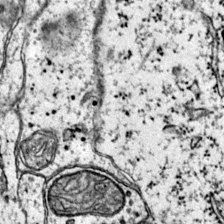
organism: Mouse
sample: Primary visual cortex